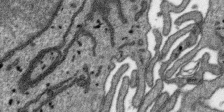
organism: Human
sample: Lung epithelial cells, uninfected (mock) control